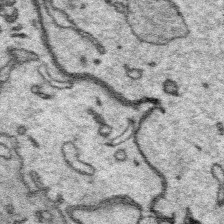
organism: Platynereis dumerilii